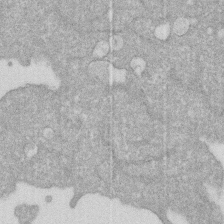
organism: Human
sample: HIV infected U937 cells